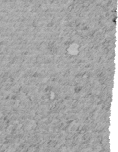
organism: C. elegans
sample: C. elegans embryo early stage